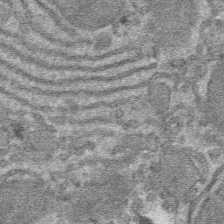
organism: Mouse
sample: Mouse hepatocytes